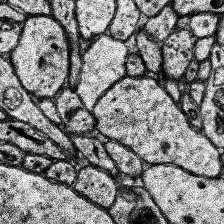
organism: Human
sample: Temporal Lobe